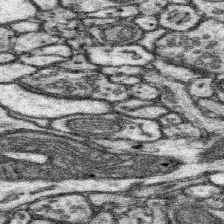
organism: Mouse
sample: Somatosensory cortex neuropil